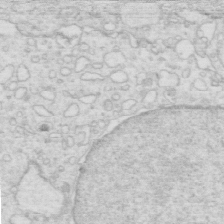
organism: Mouse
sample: Multiciliated cells